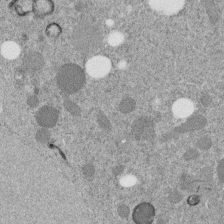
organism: C. elegans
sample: C. elegans embryo early stage